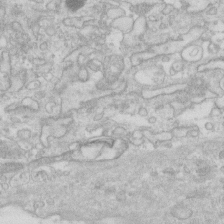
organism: Human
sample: Fibroblast cells